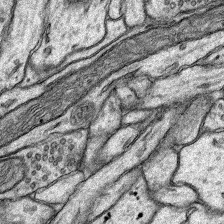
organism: Rat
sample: Hippocampus